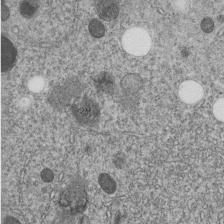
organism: C. elegans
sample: C. elegans embryo early stage